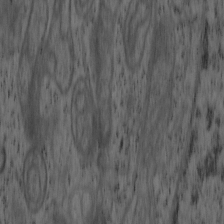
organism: Human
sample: HeLa cells